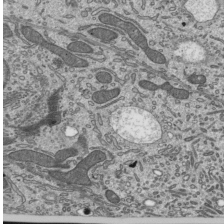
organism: Mouse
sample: Mouse epididymis efferent ductule cilia